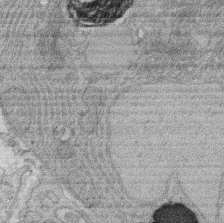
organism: Rat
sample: Salivary granule